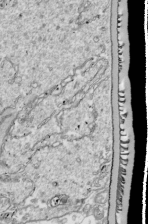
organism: Drosophila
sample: Cell division; meiosis; drosophila spermatocytes